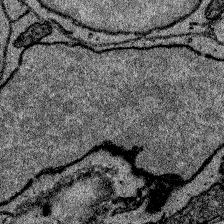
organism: Zebrafish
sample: Larval olfactory bulb